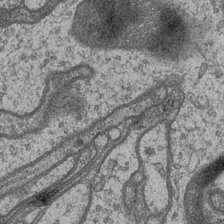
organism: Drosophila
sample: Optic medulla